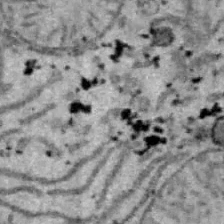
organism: Mouse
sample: Liver from an obese (ob/ob) mouse